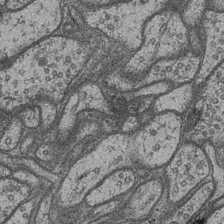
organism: Drosophila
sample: Optic medulla